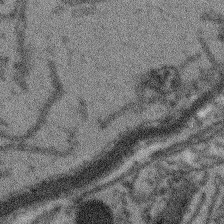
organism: Arabidopsis thaliana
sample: Root tip